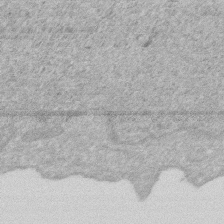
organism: Human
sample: HIV infected U937 cells